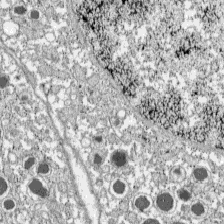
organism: C57BL Mouse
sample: Pancreatic islet